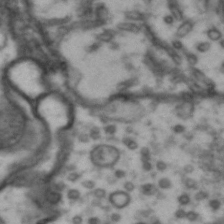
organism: Drosophila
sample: Brain